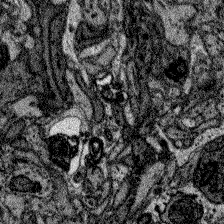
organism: Zebrafish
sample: Larval olfactory bulb